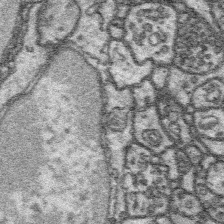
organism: Platynereis dumerilii